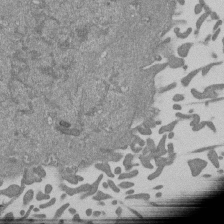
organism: Mouse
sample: ED-1 cell nuclei; centrioles